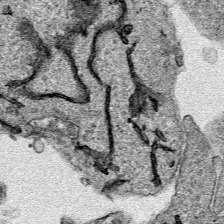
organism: Human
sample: Mitochondria in HCT116 cells